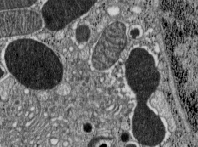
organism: C57BL Mouse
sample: Pancreatic islet